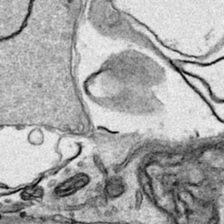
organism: Human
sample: Mitochondria in HCT116 cells